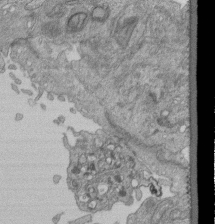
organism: Human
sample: Retinal organoid Rod and Cone cells